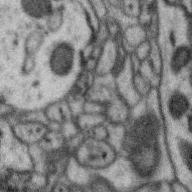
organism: Zebra finch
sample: Brain